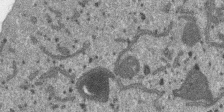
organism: Human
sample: Lung epithelial cells infected with SARS-CoV-2